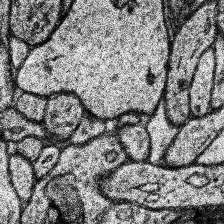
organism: Human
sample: Temporal Lobe